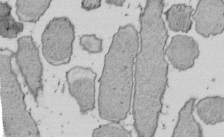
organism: E. coli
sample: Bacterial nucleoid